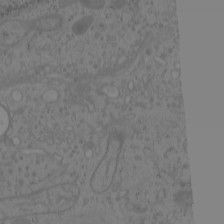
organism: Human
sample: HeLa cells